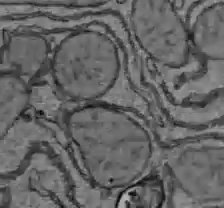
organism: C57BL Mouse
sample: Liver